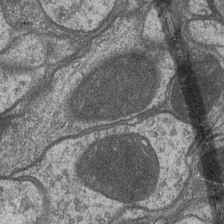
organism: Drosophila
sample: Optic medulla